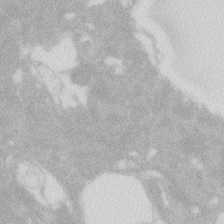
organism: Zebrafish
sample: Macrophage